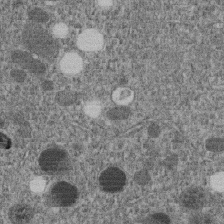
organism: C. elegans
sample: C. elegans embryo early stage